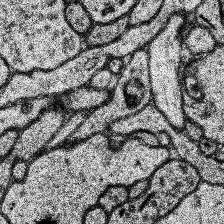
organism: Human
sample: Temporal Lobe